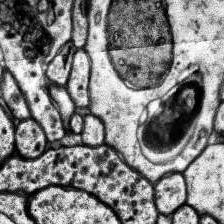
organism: Human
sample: Temporal Lobe